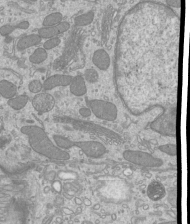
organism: Mouse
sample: Cilia; mouse epididymis